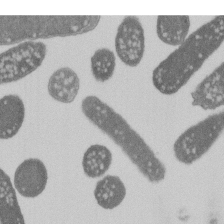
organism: E. coli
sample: Bacterial nucleoid